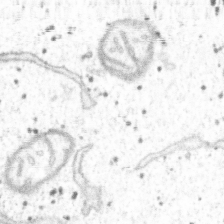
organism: Human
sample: HeLa cells